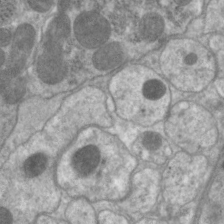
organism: C. elegans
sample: Pharynx